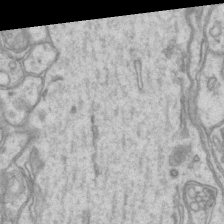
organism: Mouse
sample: CA1 Hippocampus